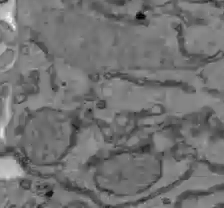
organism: C57BL Mouse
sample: Liver